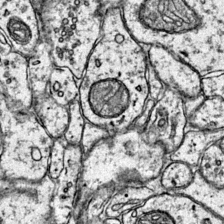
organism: Mouse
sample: Primary visual cortex